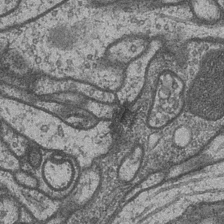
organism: Drosophila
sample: Optic medulla